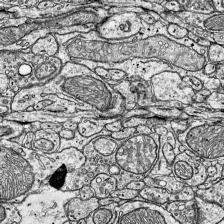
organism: Mouse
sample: Visual Cortex